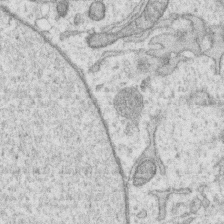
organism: Human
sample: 1205lu cells